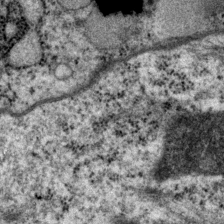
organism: P. pacificus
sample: Pharynx